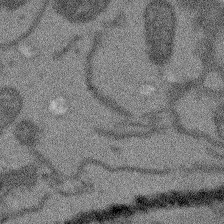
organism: Arabidopsis thaliana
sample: Root tip